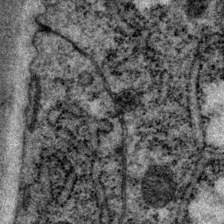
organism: P. pacificus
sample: Pharynx